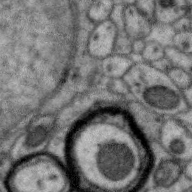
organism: Zebra finch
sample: Brain